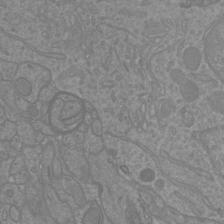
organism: Mouse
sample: Cortical neurons